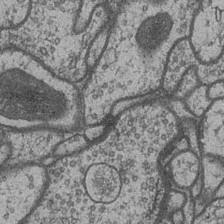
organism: Drosophila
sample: Optic medulla